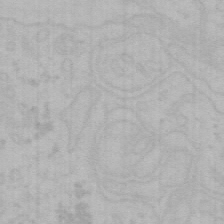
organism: Mouse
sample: Choroid plexus